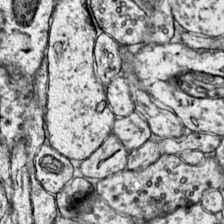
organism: Mouse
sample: Primary visual cortex